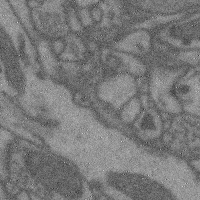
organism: Mouse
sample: Cerebral cortex